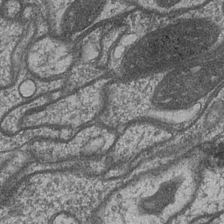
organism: Drosophila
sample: Optic medulla